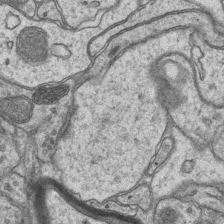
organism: Mouse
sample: CA1 Hippocampus